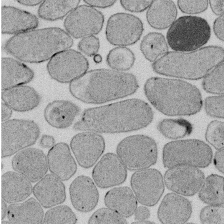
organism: E. coli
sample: Bacterial nucleoid